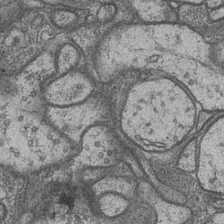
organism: Drosophila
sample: Optic medulla